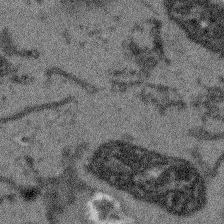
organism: Arabidopsis thaliana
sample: Root tip